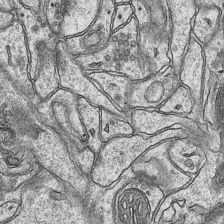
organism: Mouse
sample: CA1 Hippocampus